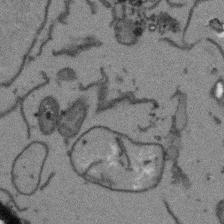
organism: Arabidopsis thaliana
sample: Root tip